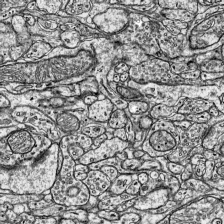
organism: Mouse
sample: Visual Cortex